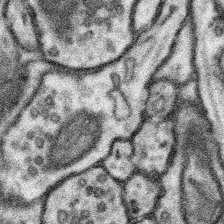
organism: Mouse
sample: Somatosensory cortex neuropil